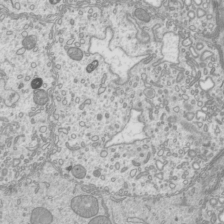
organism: Mouse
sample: Cilia; mouse epididymis